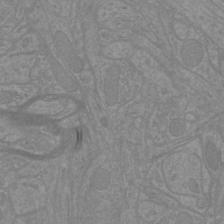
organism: Mouse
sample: Cortical neurons